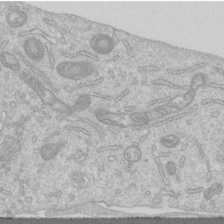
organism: Human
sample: Centriole in RPE cells